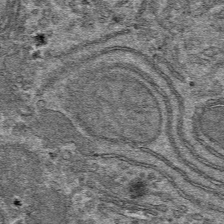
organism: Mouse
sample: Mouse hepatocytes